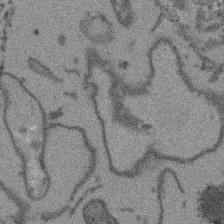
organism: Arabidopsis thaliana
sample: Root tip